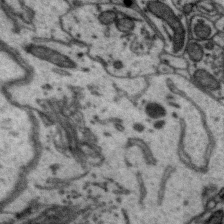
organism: Zebra finch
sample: Brain